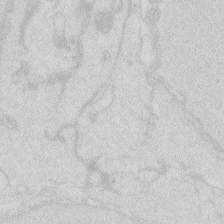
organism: Zebrafish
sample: Macrophage